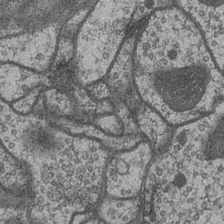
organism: Drosophila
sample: Optic medulla